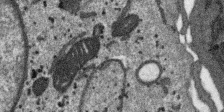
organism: Human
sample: Lung epithelial cells infected with SARS-CoV-2